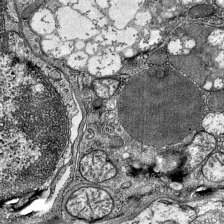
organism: Mouse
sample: Visual Cortex